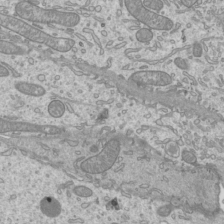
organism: Mouse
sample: Cilia; mouse epididymis